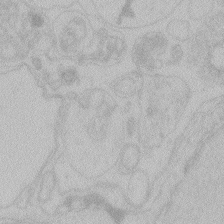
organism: Zebrafish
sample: Macrophage infected with Toxoplasma gondii